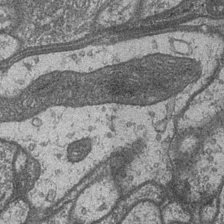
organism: Drosophila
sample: Optic medulla